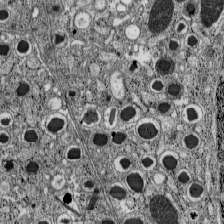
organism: C57BL Mouse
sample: Pancreatic islet